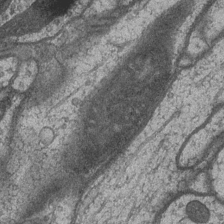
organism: Drosophila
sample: Optic medulla